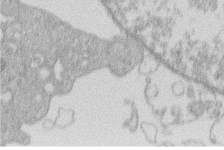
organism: Human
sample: Macrophage cells